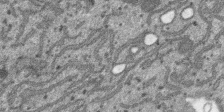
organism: Human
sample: Lung epithelial cells infected with SARS-CoV-2